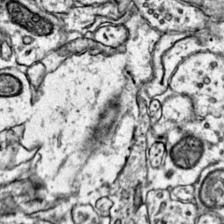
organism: Mouse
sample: Primary visual cortex